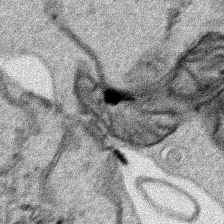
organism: Human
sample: Mitochondria in HCT116 cells